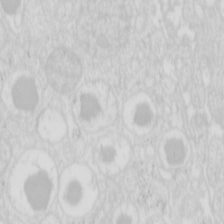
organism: Mouse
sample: Pancreas